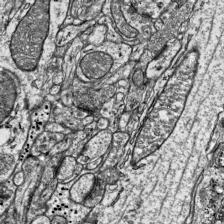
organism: Mouse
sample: Visual Cortex